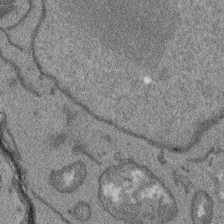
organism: Arabidopsis thaliana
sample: Root tip